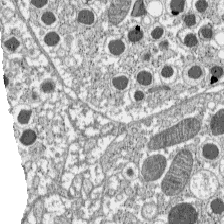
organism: C57BL Mouse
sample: Pancreatic islet